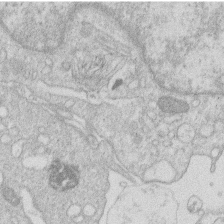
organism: Human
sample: Macrophage cells